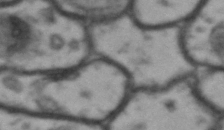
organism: Drosophila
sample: Brain